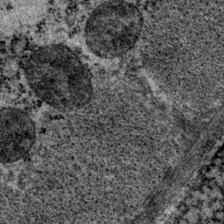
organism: P. pacificus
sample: Pharynx